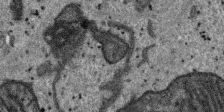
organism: Human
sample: Lung epithelial cells, uninfected (mock) control